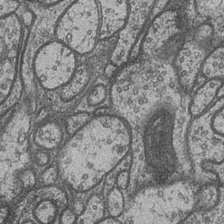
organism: Drosophila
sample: Optic medulla